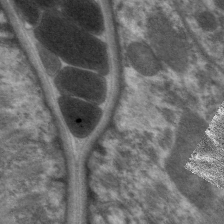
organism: C. elegans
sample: Pharynx